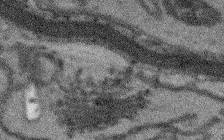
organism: Arabidopsis thaliana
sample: Root tip